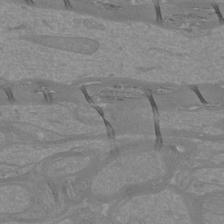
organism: Mouse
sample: Cortical neurons